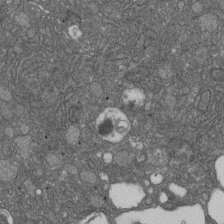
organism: Drosophila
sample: Nephrocyte